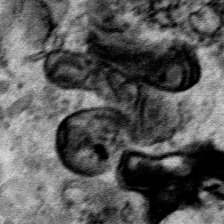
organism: Human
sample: Mitochondria in HCT116 cells